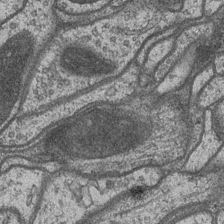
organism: Drosophila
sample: Optic medulla